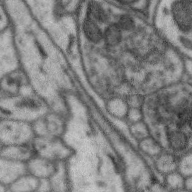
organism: Zebra finch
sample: Brain